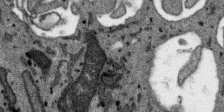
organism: Human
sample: Lung epithelial cells, uninfected (mock) control